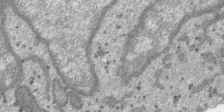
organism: Human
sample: Lung epithelial cells infected with SARS-CoV-2